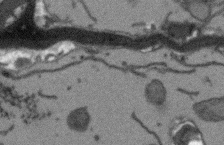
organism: Arabidopsis thaliana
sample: Root tip